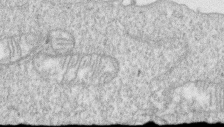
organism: Human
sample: HeLa cell HIV synapse